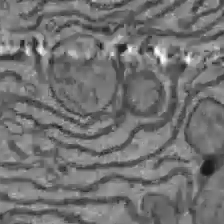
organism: C57BL Mouse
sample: Liver